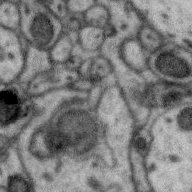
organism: Zebra finch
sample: Brain